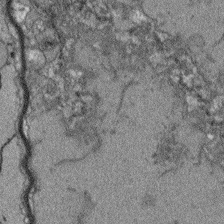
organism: Arabidopsis thaliana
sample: Root tip